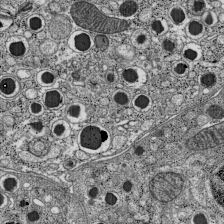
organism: C57BL Mouse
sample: Pancreatic islet